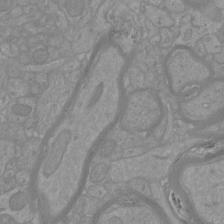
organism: Mouse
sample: Cortical neurons